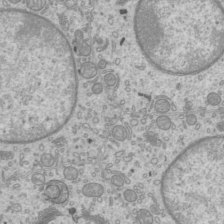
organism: Mouse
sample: Cilia; mouse epididymis